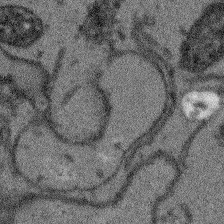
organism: Arabidopsis thaliana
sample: Root tip